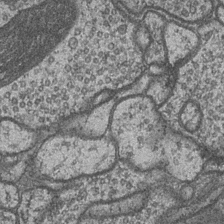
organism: Drosophila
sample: Optic medulla